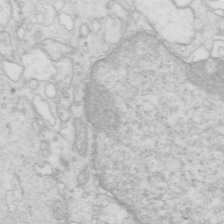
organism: Mouse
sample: Multiciliated cells